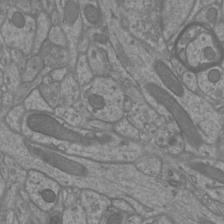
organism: Mouse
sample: Cortical neurons